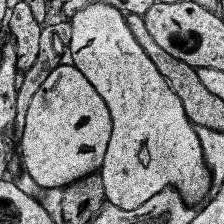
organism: Human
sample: Temporal Lobe